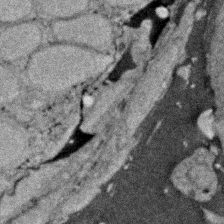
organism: Zebrafish